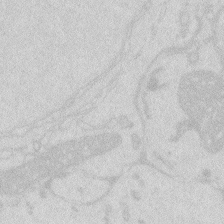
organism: Zebrafish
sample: Macrophage